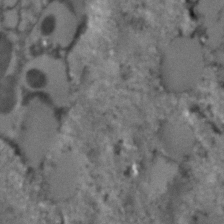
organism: C. elegans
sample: C. elegans embryo